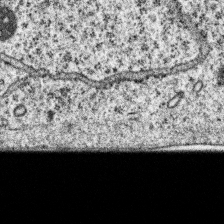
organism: Human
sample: HeLa cells